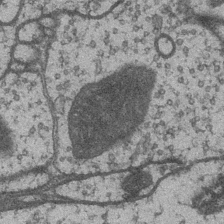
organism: Drosophila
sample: Optic medulla